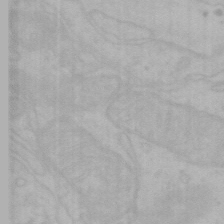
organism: Mouse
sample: Choroid plexus